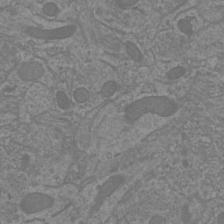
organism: Mouse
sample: Cortical neurons